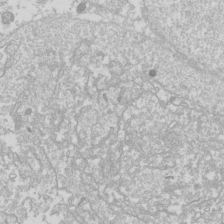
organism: Drosophila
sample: Cell division; meiosis; drosophila spermatocytes